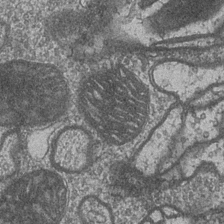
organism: Drosophila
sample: Optic medulla